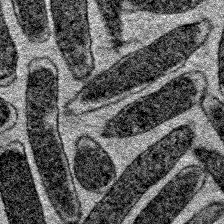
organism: E. coli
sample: E. Coli Bacteria